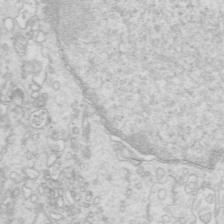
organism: Mouse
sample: Multiciliated cells